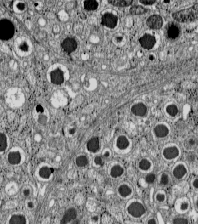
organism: C57BL Mouse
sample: Pancreatic islet